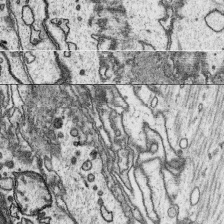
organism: Platynereis dumerilii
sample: Parapodia